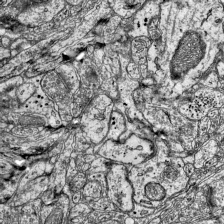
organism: Mouse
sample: Visual Cortex